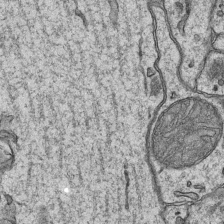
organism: Mouse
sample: CA1 Hippocampus